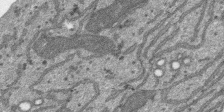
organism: Human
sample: Lung epithelial cells infected with SARS-CoV-2